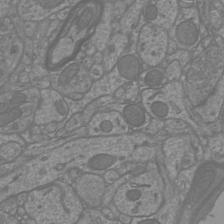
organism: Mouse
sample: Cortical neurons